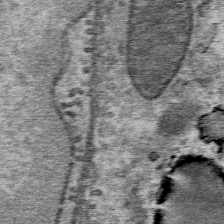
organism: Mouse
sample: Mouse Salivary gland